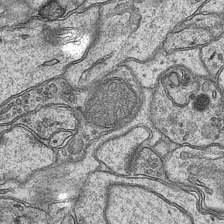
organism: Mouse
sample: CA1 Hippocampus